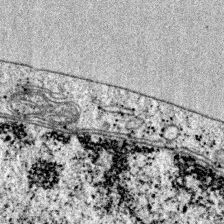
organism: Human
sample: HeLa cells